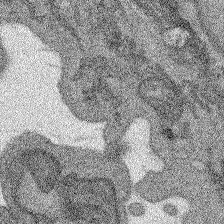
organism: Human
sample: HeLa cells